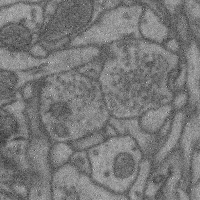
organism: Mouse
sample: Cerebral cortex